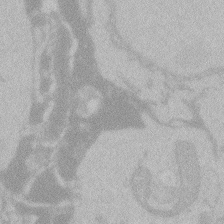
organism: Zebrafish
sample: Macrophage infected with Toxoplasma gondii